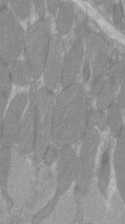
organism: C57BL Mouse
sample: Tibialis anterior muscle cell